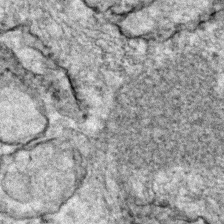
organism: Zebrafish